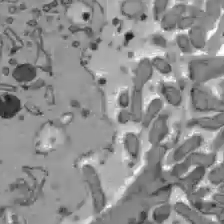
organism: C57BL Mouse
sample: Liver